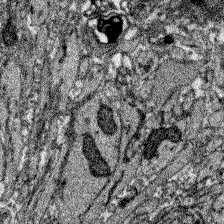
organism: Zebrafish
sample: Larval olfactory bulb